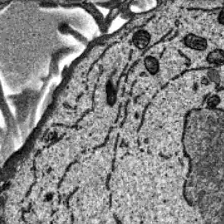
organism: Human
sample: HeLa cells